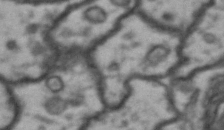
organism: Drosophila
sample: Brain